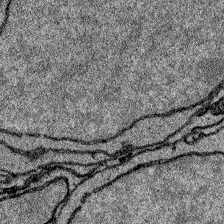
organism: Zebrafish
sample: Larval olfactory bulb